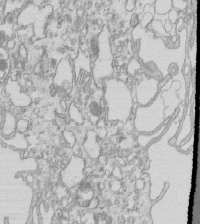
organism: Mouse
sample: Macrophages